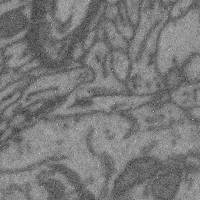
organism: Mouse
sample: Cerebral cortex